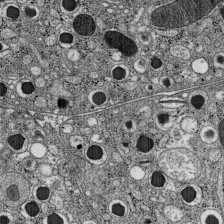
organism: C57BL Mouse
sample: Pancreatic islet